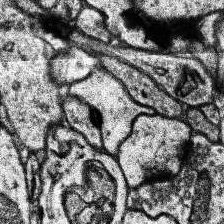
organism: Human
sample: Temporal Lobe